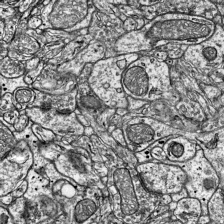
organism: Mouse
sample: Visual Cortex